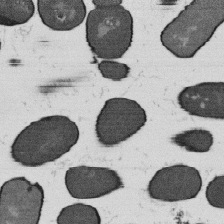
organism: B. subtilis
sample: Bacterial spore